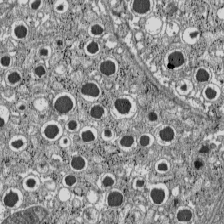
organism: C57BL Mouse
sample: Pancreatic islet